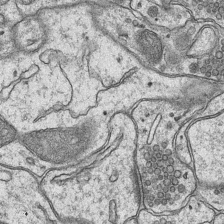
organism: Mouse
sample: CA1 Hippocampus